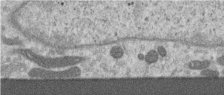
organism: Human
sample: Centriole in RPE cells